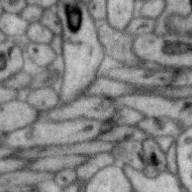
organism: Zebra finch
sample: Brain